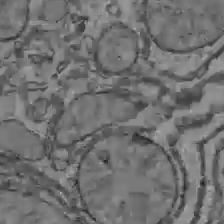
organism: C57BL Mouse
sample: Liver